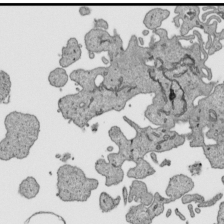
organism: Human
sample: Mitochondria in HCT116 cells